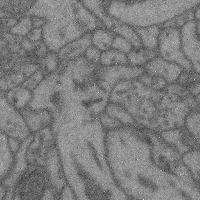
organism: Mouse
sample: Cerebral cortex